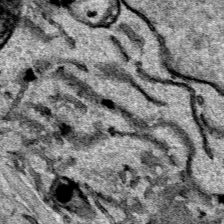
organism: Human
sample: Mitochondria in HCT116 cells